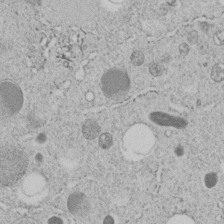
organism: C. elegans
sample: C. elegans embryo early stage